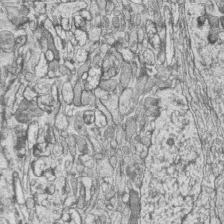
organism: Zebrafish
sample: synaptic ribbons in rod cells and cone cells